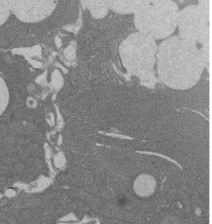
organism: Rat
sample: Salivary granule